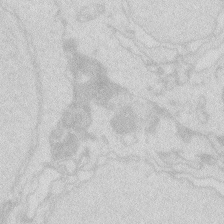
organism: Zebrafish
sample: Macrophage